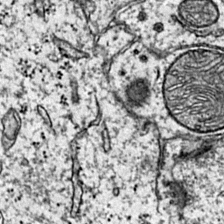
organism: Mouse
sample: Primary visual cortex